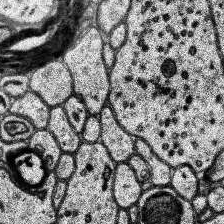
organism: Human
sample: Temporal Lobe